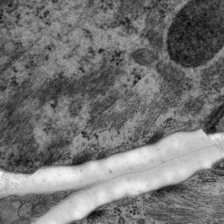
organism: P. pacificus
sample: Pharynx